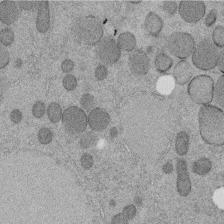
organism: C. elegans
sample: C. elegans embryo early stage